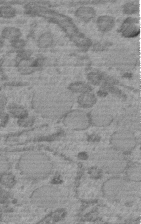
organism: C. elegans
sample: C. elegans embryo early stage